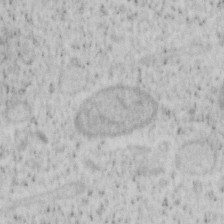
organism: Human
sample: HeLa cells